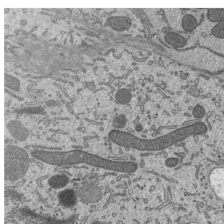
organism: Mouse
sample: Mouse epididymis efferent ductule cilia